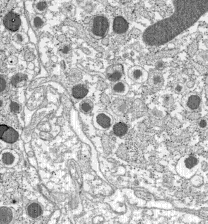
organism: C57BL Mouse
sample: Pancreatic islet